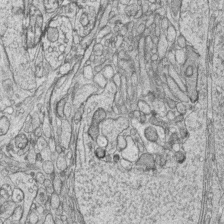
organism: Zebrafish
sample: synaptic ribbons in rod cells and cone cells